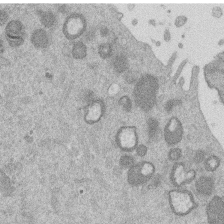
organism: Mouse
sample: Dividing mouse embryo 1 cell stage